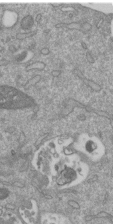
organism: Mouse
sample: ED-1 cell nuclei; centrioles